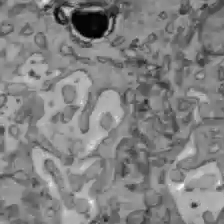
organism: C57BL Mouse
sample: Liver